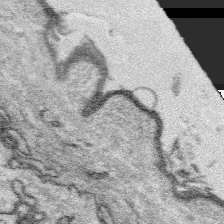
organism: Platynereis dumerilii